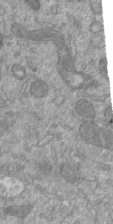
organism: Mouse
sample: ED-1 cell nuclei; centrioles